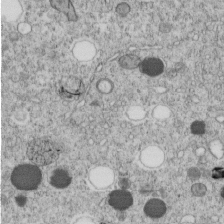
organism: C. elegans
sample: C. elegans embryo early stage